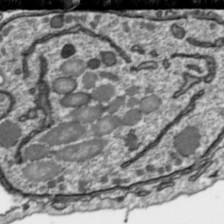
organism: Toxoplasma gondii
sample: Parasites in a vacuole inside a host cell